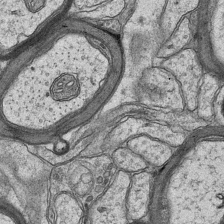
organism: Mouse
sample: CA1 Hippocampus